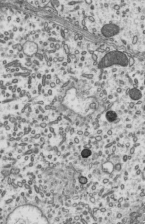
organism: Mouse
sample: Mouse epididymis efferent ductule cilia